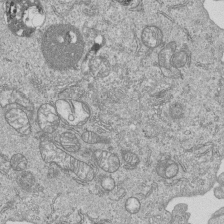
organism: Human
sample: MDA-MB-231 cells